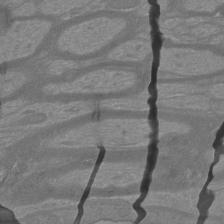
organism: Mouse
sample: Cortical neurons